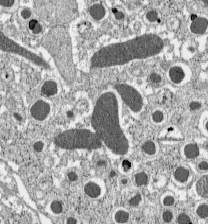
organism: C57BL Mouse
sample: Pancreatic islet